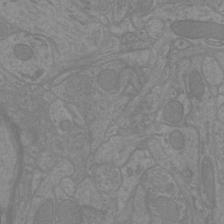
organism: Mouse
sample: Cortical neurons